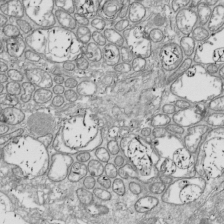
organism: Drosophila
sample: Cell division; meiosis; drosophila spermatocytes